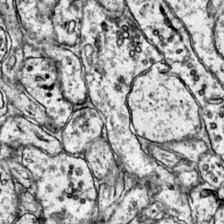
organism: Mouse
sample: Primary visual cortex